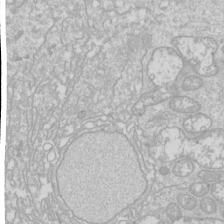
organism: Drosophila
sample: Cell division; meiosis; drosophila spermatocytes